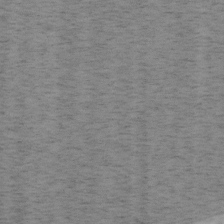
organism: Mouse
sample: OT-I killer T cells with ID8 ovarian cancer cells